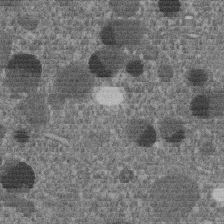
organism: C. elegans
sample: C. elegans embryo early stage